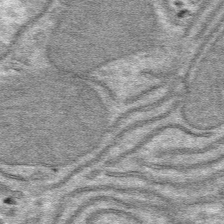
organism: Mouse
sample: Mouse hepatocytes